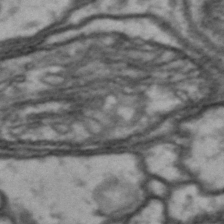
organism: Drosophila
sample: Brain